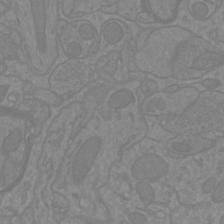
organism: Mouse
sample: Cortical neurons